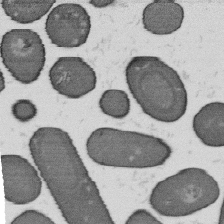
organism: B. subtilis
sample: Bacterial spore